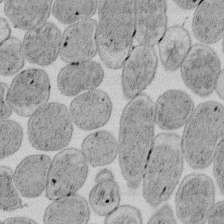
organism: E. coli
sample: Bacterial nucleoid